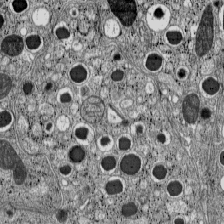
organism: C57BL Mouse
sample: Pancreatic islet